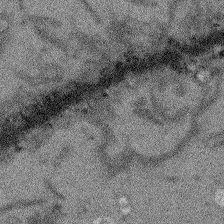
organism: Arabidopsis thaliana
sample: Root tip